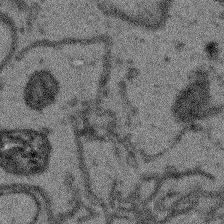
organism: Arabidopsis thaliana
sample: Root tip